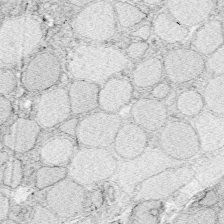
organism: Zebrafish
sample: Whole-Brain